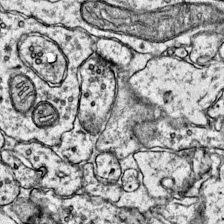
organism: Mouse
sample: Primary visual cortex